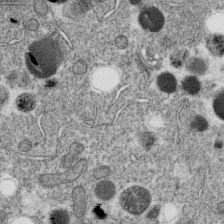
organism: C. elegans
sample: C. elegans oocyte; sperm cells